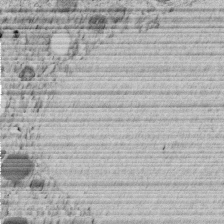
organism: C. elegans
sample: C. elegans embryo early stage